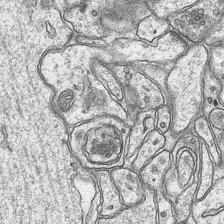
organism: Mouse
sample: CA1 Hippocampus